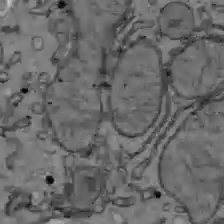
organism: C57BL Mouse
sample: Liver